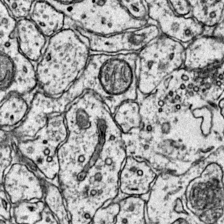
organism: Mouse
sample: Primary visual cortex